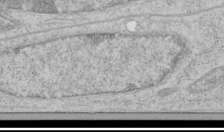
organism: Human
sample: Mitochondria in HCT116 cells